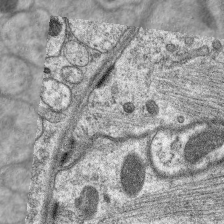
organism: C. elegans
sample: Pharynx